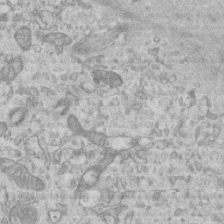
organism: Mouse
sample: Centriole in ependymal cells